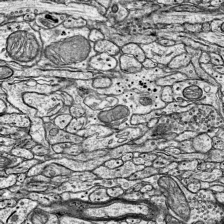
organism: Mouse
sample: Visual Cortex